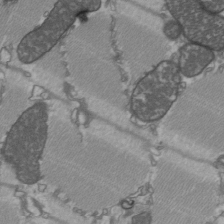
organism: C57BL Mouse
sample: Heart